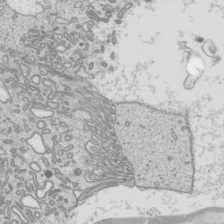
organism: Mouse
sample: Cilia; mouse epididymis